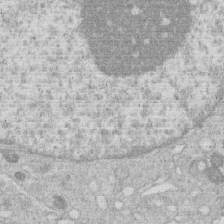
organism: Human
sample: Macrophage cells